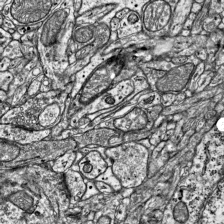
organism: Mouse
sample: Visual Cortex